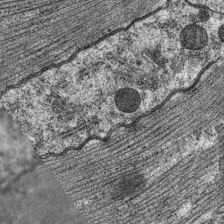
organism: C. elegans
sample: Pharynx